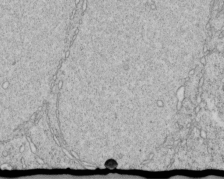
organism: C. elegans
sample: C. elegans embryo early stage